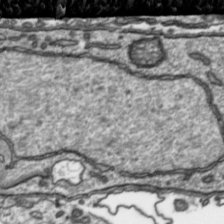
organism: Toxoplasma gondii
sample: Parasites in a vacuole inside a host cell